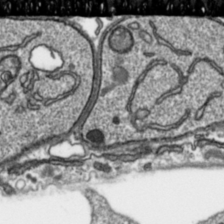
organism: Toxoplasma gondii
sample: Parasites in a vacuole inside a host cell